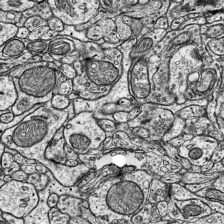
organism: Mouse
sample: Visual Cortex